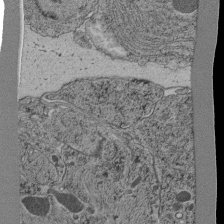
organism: C. elegans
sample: C. elegans pharynx